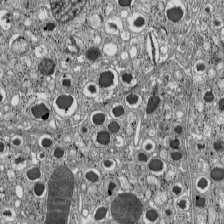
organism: C57BL Mouse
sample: Pancreatic islet